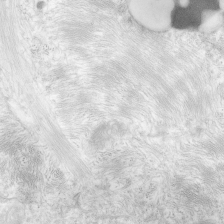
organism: Human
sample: Neocortex